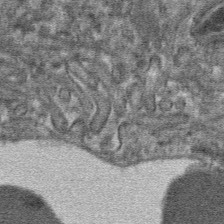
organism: Mouse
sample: Mouse hepatocytes